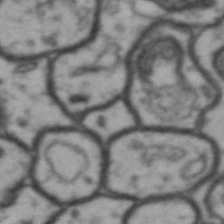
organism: Drosophila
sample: Brain